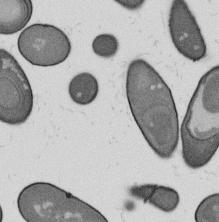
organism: B. subtilis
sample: Bacterial spore